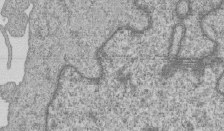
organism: Human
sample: MDA-MB-231 cells